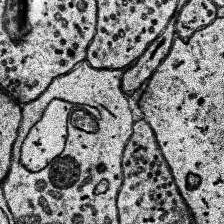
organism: Human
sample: Temporal Lobe